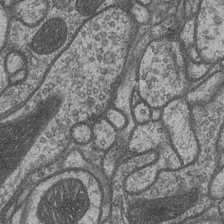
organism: Drosophila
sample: Optic medulla